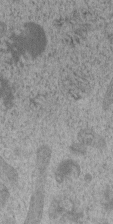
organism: C. elegans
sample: C. elegans embryo early stage